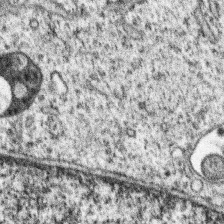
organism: Human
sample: HeLa cells